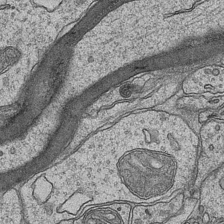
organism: Mouse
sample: CA1 Hippocampus